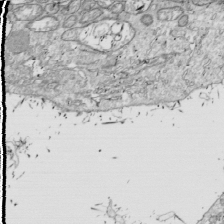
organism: Drosophila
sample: Cell division; meiosis; drosophila spermatocytes